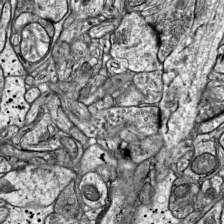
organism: Mouse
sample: Visual Cortex